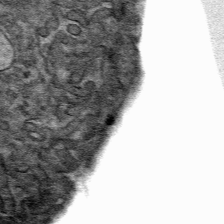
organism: Mouse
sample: Mouse hepatocytes